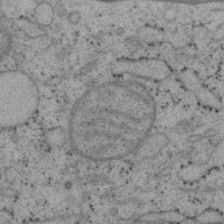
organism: Human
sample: HeLa cells